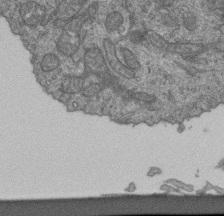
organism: Human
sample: Retinal organoid Rod and Cone cells